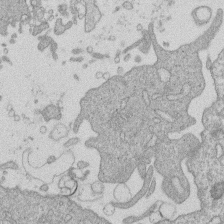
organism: Human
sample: Macrophage cells